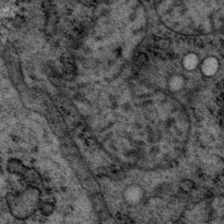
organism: P. pacificus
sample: Pharynx